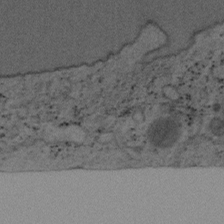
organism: Human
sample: HeLa cells